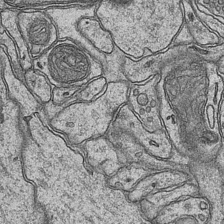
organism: Mouse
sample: CA1 Hippocampus